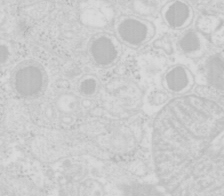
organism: Mouse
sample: Pancreas